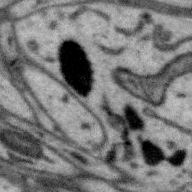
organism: Zebra finch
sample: Brain